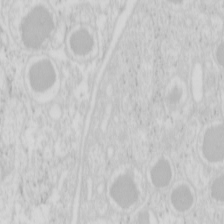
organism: Mouse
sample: Pancreas